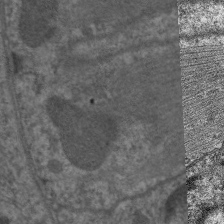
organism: C. elegans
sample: Pharynx